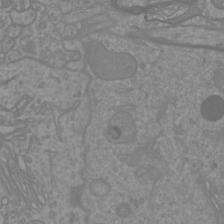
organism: Mouse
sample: Cortical neurons